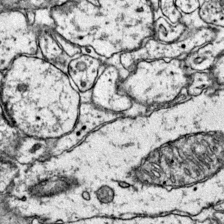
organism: Mouse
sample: Primary visual cortex